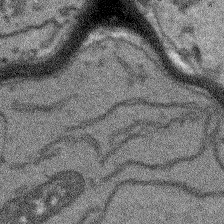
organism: Arabidopsis thaliana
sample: Root tip